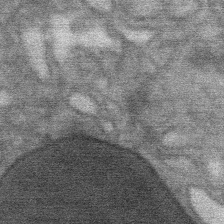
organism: Mouse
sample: Mouse Salivary gland